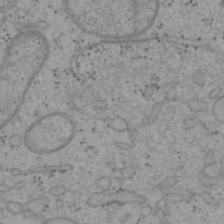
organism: Human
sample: HeLa cells